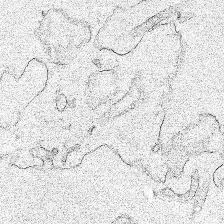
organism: Human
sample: Mitochondria in HCT116 cells